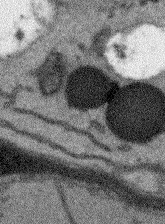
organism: Arabidopsis thaliana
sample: Root tip